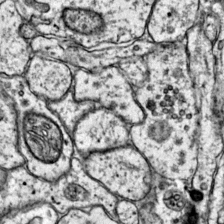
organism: Mouse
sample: Primary visual cortex